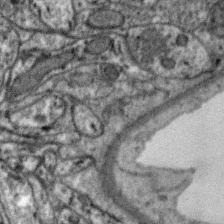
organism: Zebra finch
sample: Brain